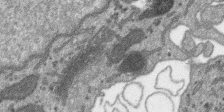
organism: Human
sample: Lung epithelial cells infected with SARS-CoV-2